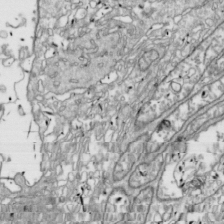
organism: Drosophila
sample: Cell division; meiosis; drosophila spermatocytes